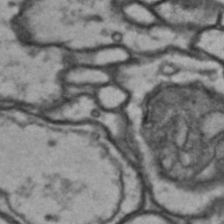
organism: Drosophila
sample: Brain